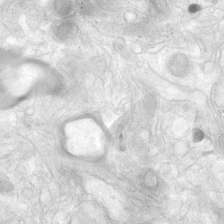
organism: Human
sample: Neocortex